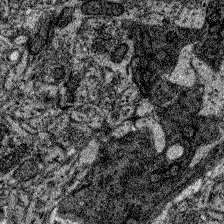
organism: Zebrafish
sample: Larval olfactory bulb